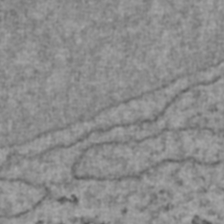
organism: Human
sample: Blood